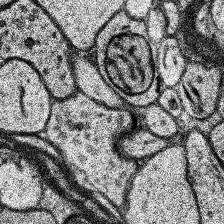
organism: Human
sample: Temporal Lobe